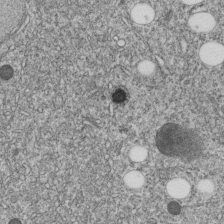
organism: C. elegans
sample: C. elegans embryo early stage